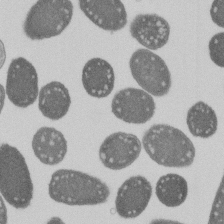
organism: E. coli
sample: Bacterial nucleoid